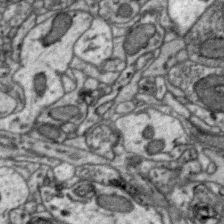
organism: Zebra finch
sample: Brain